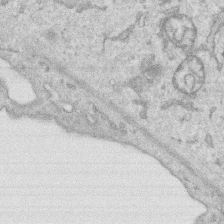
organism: Human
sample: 1205lu cells